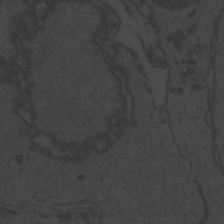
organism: Zebrafish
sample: Macrophage infected with Toxoplasma gondii